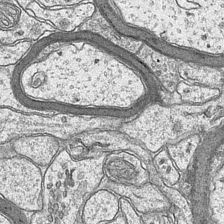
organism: Mouse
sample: CA1 Hippocampus